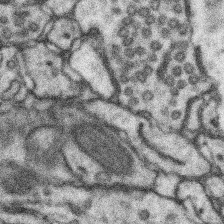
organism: Mouse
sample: Somatosensory cortex neuropil